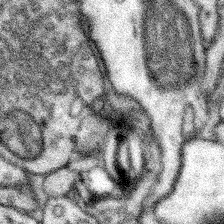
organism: Mouse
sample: Somatosensory cortex neuropil